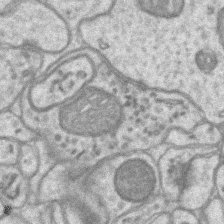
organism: Mouse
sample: CA1 Hippocampus